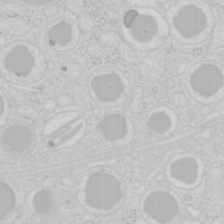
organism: Mouse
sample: Pancreas